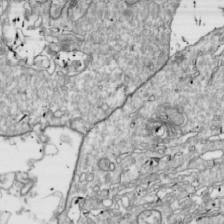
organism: Drosophila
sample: Cell division; meiosis; drosophila spermatocytes